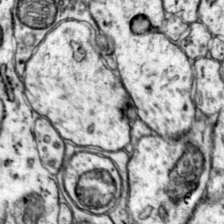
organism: Mouse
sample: Primary visual cortex